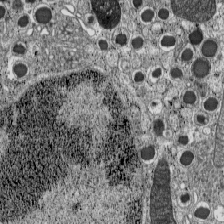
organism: C57BL Mouse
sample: Pancreatic islet